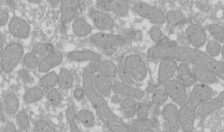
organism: Xenopus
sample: Cilia; centrioles in frog embryo cells